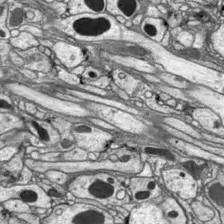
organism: Drosophila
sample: Optic lobe